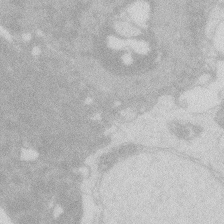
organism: Zebrafish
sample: Macrophage